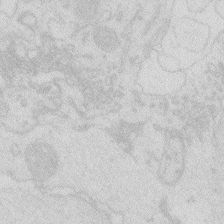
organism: Zebrafish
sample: Macrophage